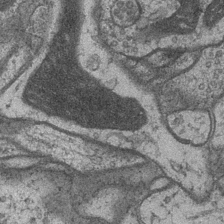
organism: Drosophila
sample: Optic medulla